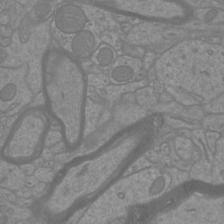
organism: Mouse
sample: Cortical neurons